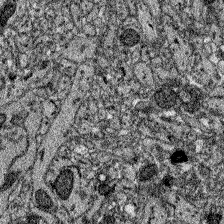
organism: Zebrafish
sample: Larval olfactory bulb